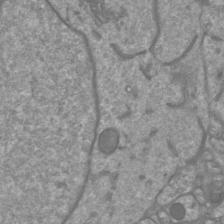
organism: Mouse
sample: Cortical neurons